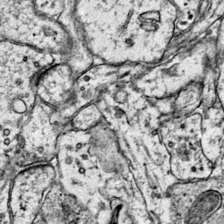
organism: Mouse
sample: Primary visual cortex